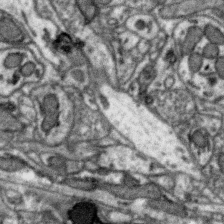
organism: Zebra finch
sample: Brain